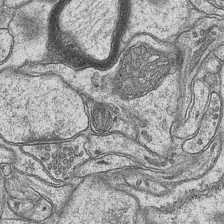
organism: Mouse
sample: CA1 Hippocampus